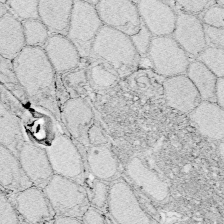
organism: Zebrafish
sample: Whole-Brain